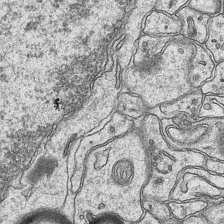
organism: Mouse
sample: CA1 Hippocampus